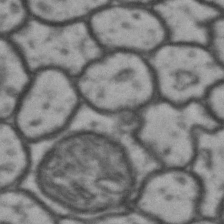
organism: Drosophila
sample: Brain